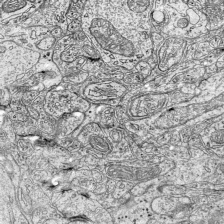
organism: Mouse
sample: Visual Cortex